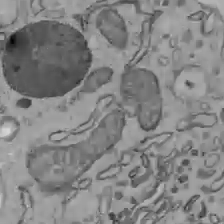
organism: C57BL Mouse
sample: Liver